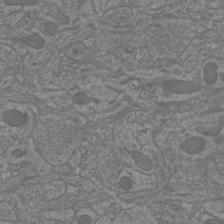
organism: Mouse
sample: Cortical neurons